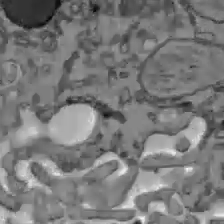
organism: C57BL Mouse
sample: Liver